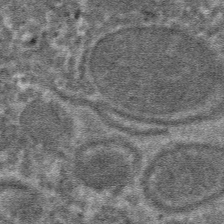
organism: Mouse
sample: Mouse hepatocytes